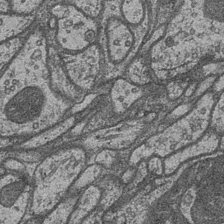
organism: Drosophila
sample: Optic medulla